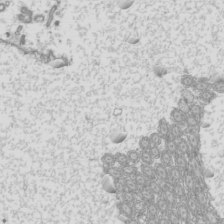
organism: Mouse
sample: Cilia; mouse epididymis